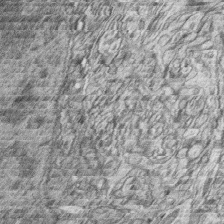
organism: Zebrafish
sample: synaptic ribbons in rod cells and cone cells